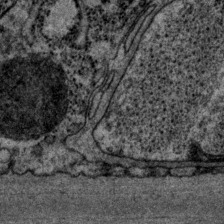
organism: P. pacificus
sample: Pharynx